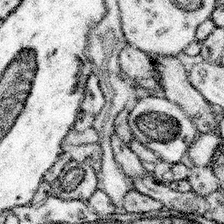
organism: Mouse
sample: Somatosensory cortex neuropil